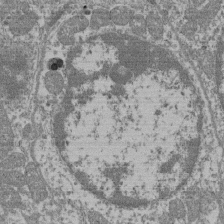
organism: Mouse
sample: Glomerulus